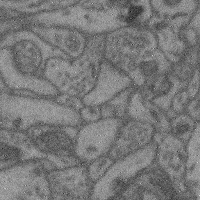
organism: Mouse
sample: Cerebral cortex